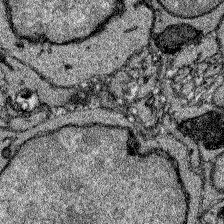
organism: Zebrafish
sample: Larval olfactory bulb